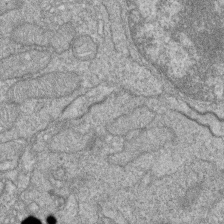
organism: Zebrafish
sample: Cilia; retinal pigment epithelium